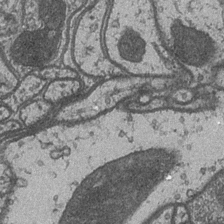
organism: Drosophila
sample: Optic medulla